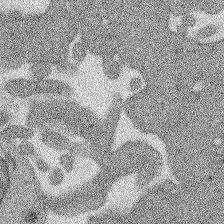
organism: Human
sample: HeLa cells